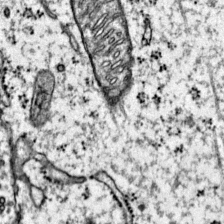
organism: Mouse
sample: Primary visual cortex